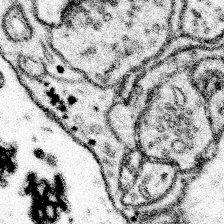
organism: Mouse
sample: Somatosensory cortex neuropil